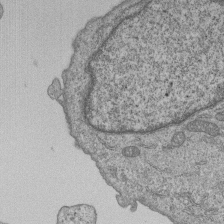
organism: Human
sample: MDA-MB-231 cells